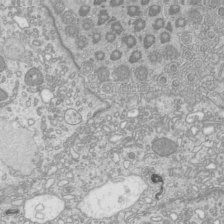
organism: Mouse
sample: Cilia; mouse epididymis